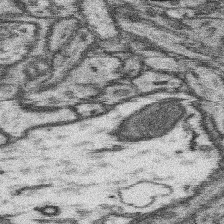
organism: Mouse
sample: Somatosensory cortex neuropil